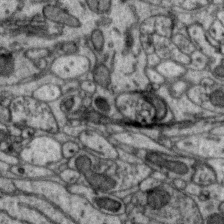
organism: Zebra finch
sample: Brain